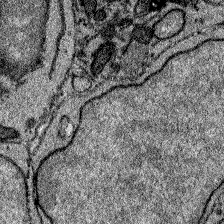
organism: Zebrafish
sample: Larval olfactory bulb